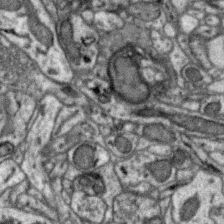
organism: Zebra finch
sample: Brain